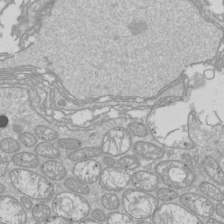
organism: Drosophila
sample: Cell division; meiosis; drosophila spermatocytes